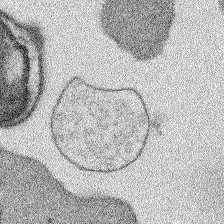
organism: Human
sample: HeLa cells